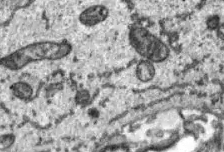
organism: Human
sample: HeLa cells